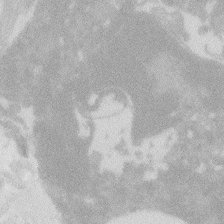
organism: Zebrafish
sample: Macrophage